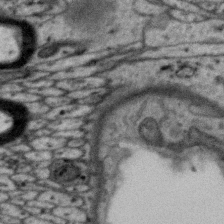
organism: Zebra finch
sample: Brain